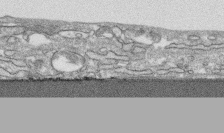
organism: Human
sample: CRL-1474